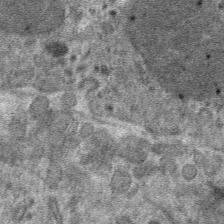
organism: Mouse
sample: Mouse hepatocytes